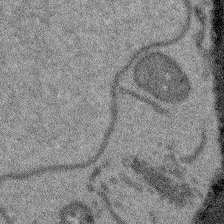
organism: Arabidopsis thaliana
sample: Root tip